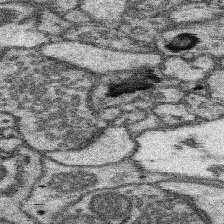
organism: Mouse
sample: Somatosensory cortex neuropil